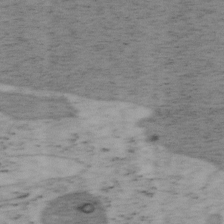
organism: Mouse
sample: OT-I killer T cells with ID8 ovarian cancer cells